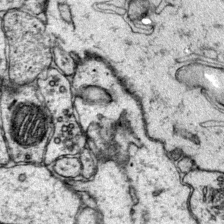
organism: Mouse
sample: Primary visual cortex